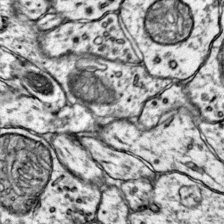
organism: Mouse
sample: Primary visual cortex